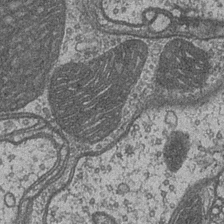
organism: Drosophila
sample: Optic medulla